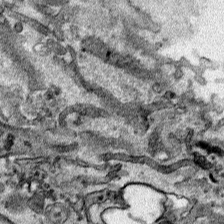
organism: Human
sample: Mitochondria in HCT116 cells